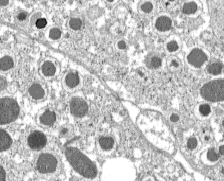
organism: C57BL Mouse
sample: Pancreatic islet